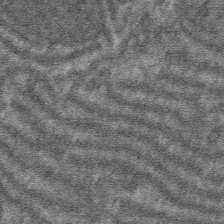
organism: Mouse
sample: Mouse hepatocytes